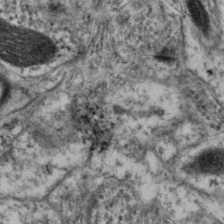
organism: Mouse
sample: Neocortex